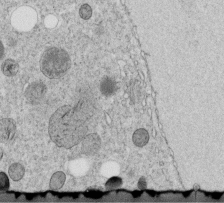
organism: C. elegans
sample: C. elegans embryo early stage